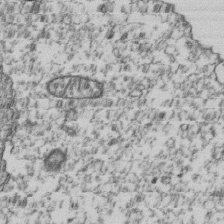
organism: Human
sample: Activated Jurkat CD4+ T cells